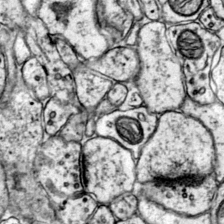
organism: Mouse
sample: Primary visual cortex